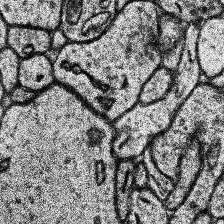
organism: Human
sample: Temporal Lobe